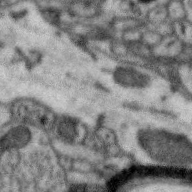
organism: Zebra finch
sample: Brain